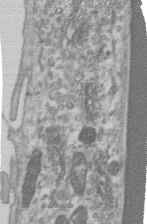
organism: Human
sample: Centriole in RPE cells